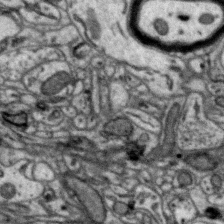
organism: Zebra finch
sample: Brain